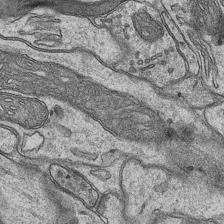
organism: Mouse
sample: CA1 Hippocampus